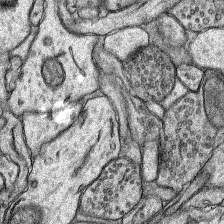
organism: Rat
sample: Hippocampus